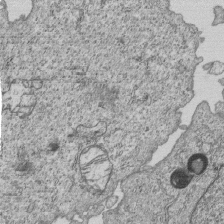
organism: Human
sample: MDA-MB-231 cells